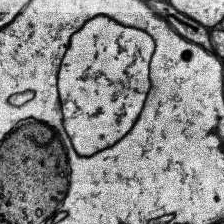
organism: Human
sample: Temporal Lobe